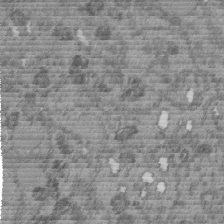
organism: C. elegans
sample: C. elegans embryo early stage